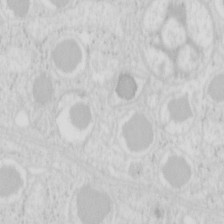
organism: Mouse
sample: Pancreas